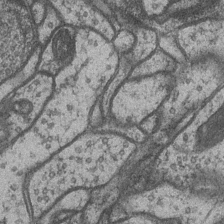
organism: Drosophila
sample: Optic medulla